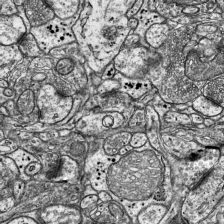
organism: Mouse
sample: Visual Cortex